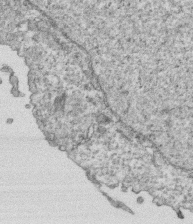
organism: Human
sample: HeLa cell HIV synapse